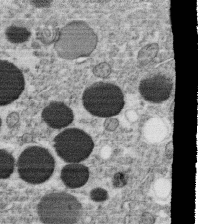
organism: C. elegans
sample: C. elegans oocyte; sperm cells